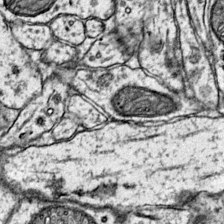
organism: Mouse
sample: Primary visual cortex